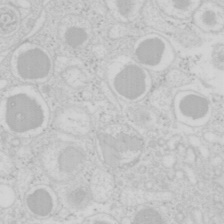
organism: Mouse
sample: Pancreas